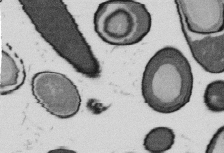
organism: B. subtilis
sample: Bacterial spore